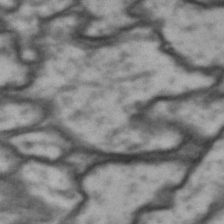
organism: Drosophila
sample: Brain